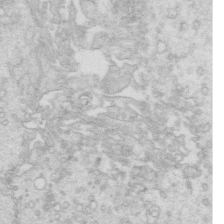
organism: Mouse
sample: Multiciliated cells